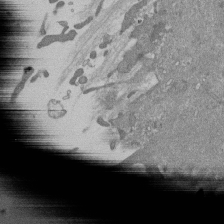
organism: Mouse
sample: ED-1 cell nuclei; centrioles